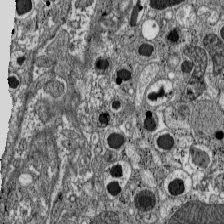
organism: C57BL Mouse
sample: Pancreatic islet